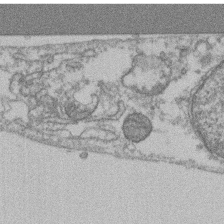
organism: Mouse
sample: T cell stromal cell synapse